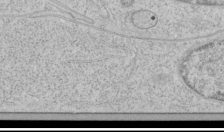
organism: Human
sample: Mitochondria in HCT116 cells